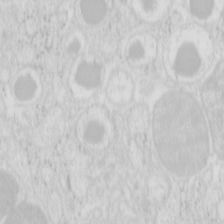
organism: Mouse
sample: Pancreas